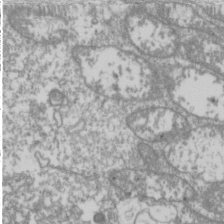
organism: Drosophila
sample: Cell division; meiosis; drosophila spermatocytes